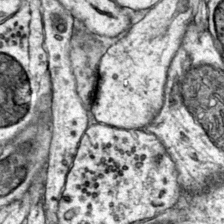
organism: Mouse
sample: Primary visual cortex